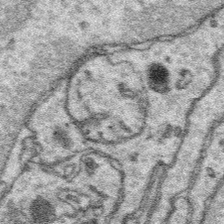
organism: Platynereis dumerilii